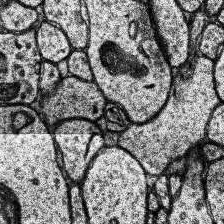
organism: Human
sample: Temporal Lobe